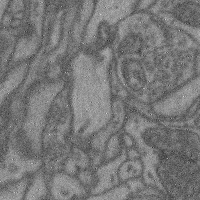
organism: Mouse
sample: Cerebral cortex